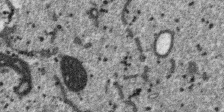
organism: Human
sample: Lung epithelial cells infected with SARS-CoV-2